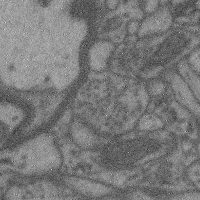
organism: Mouse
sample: Cerebral cortex